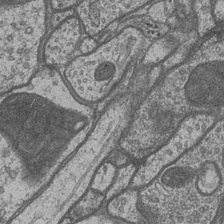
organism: Drosophila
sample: Optic medulla